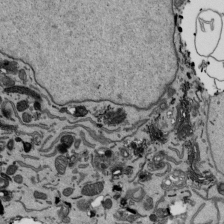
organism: Mouse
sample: ED-1 cell nuclei; centrioles